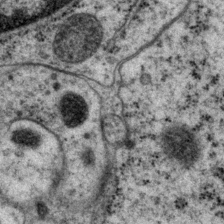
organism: P. pacificus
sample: Pharynx